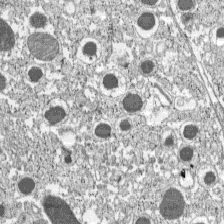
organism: C57BL Mouse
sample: Pancreatic islet